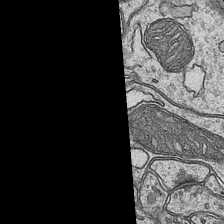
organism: Mouse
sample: CA1 Hippocampus